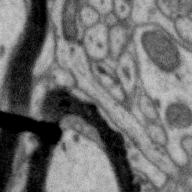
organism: Zebra finch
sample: Brain